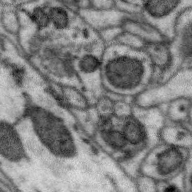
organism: Zebra finch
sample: Brain